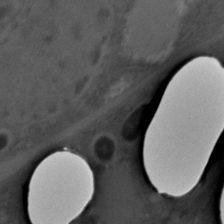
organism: C. elegans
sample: C. elegans embryo